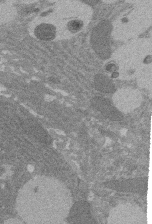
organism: Rat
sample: Salivary granule